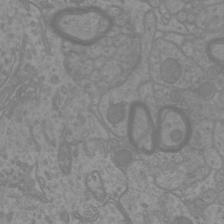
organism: Mouse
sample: Cortical neurons